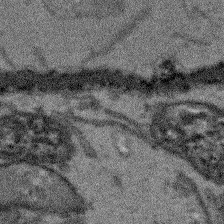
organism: Arabidopsis thaliana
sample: Root tip